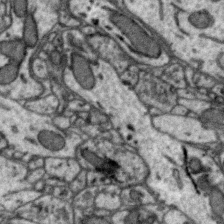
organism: Zebra finch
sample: Brain